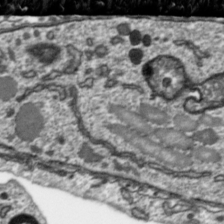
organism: Toxoplasma gondii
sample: Parasites in a vacuole inside a host cell